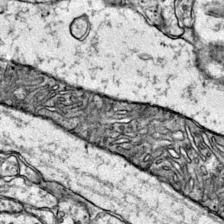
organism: Mouse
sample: Primary visual cortex